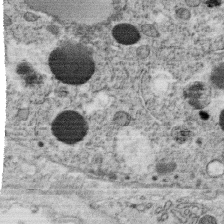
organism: C. elegans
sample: C. elegans oocyte; sperm cells